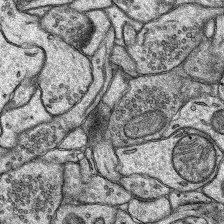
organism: Rat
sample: Hippocampus